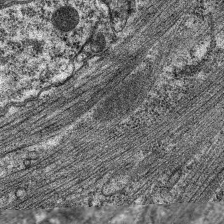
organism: C. elegans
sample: Pharynx